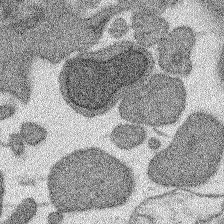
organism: Human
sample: HeLa cells